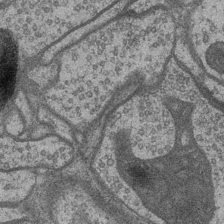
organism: Drosophila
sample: Optic medulla